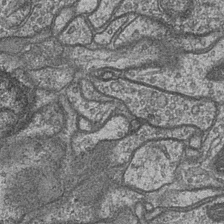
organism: Drosophila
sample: Optic medulla